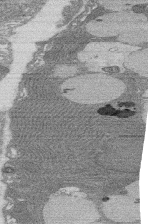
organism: Rat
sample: Salivary granule